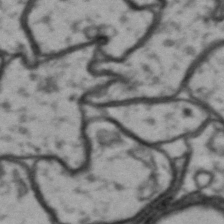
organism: Drosophila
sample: Brain